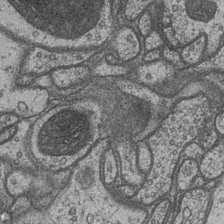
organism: Drosophila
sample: Optic medulla